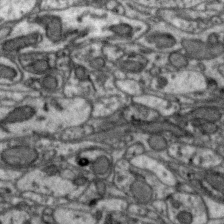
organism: Zebra finch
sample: Brain